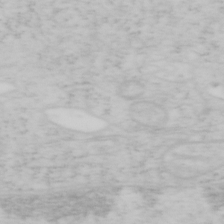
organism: Mouse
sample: OT-I killer T cells with ID8 ovarian cancer cells